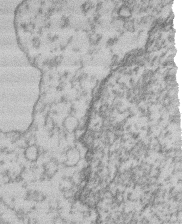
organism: Mouse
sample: T cell stromal cell synapse